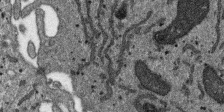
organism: Human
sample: Lung epithelial cells infected with SARS-CoV-2